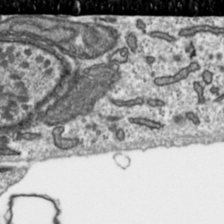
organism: Toxoplasma gondii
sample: Parasites in a vacuole inside a host cell